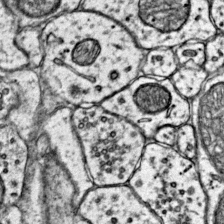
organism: Mouse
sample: Primary visual cortex